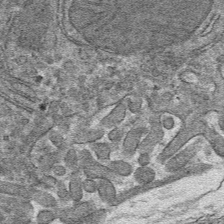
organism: Mouse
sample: Mouse hepatocytes